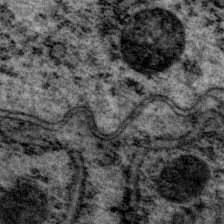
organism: P. pacificus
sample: Pharynx